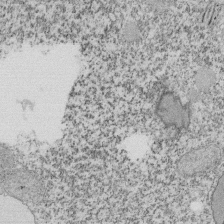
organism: Tetrahymena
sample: Cilia in tetrahymena